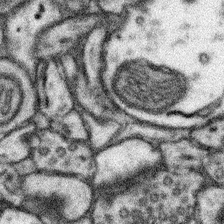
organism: Mouse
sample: Somatosensory cortex neuropil